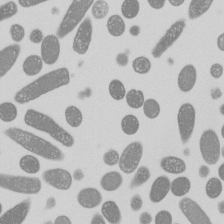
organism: E. coli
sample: Bacterial nucleoid